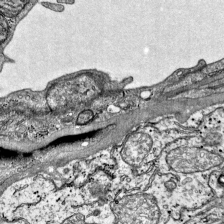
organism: Mouse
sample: Visual Cortex